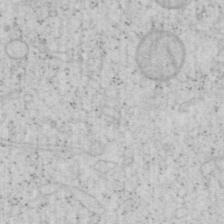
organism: Human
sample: HeLa cells